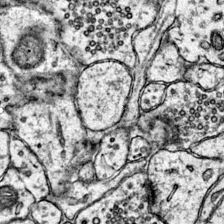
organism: Mouse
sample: Primary visual cortex